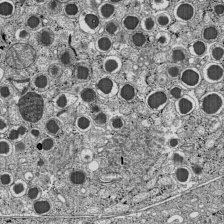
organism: C57BL Mouse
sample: Pancreatic islet